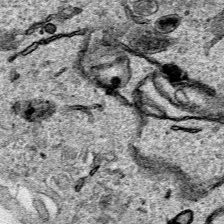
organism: Human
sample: Mitochondria in HCT116 cells